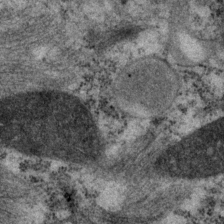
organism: P. pacificus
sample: Pharynx